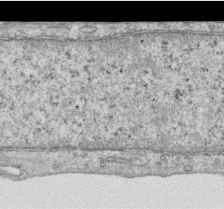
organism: Human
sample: Centriole in RPE cells